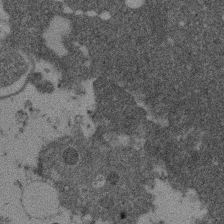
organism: Mouse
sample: Dividing mouse embryo 1 cell stage